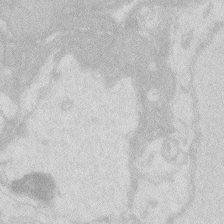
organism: Zebrafish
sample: Macrophage